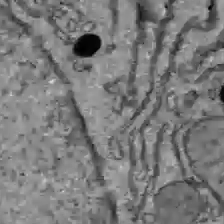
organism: C57BL Mouse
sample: Liver